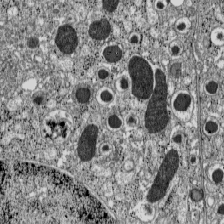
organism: C57BL Mouse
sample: Pancreatic islet